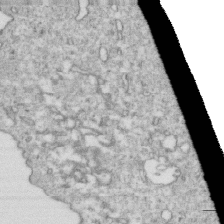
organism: Mouse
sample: Activated OT-1 CD8+ T cells